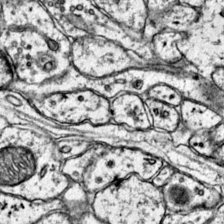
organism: Mouse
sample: Primary visual cortex